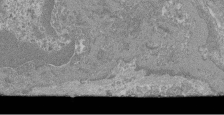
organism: Mouse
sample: Glomerulus